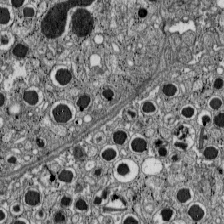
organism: C57BL Mouse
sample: Pancreatic islet